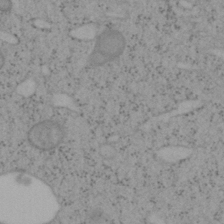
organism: Mouse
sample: OT-I killer T cells with ID8 ovarian cancer cells